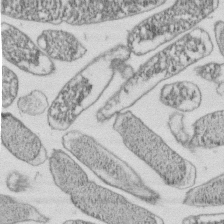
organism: E. coli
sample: Bacterial nucleoid